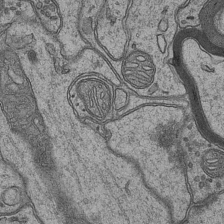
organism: Mouse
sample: CA1 Hippocampus